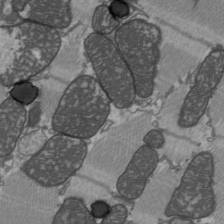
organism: C57BL Mouse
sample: Heart